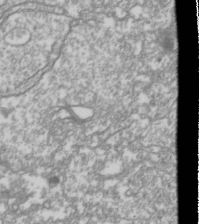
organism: Drosophila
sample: Cell division; meiosis; drosophila spermatocytes